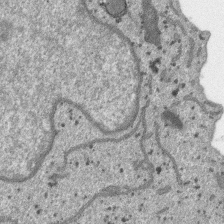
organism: Human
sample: Lung epithelial cells infected with SARS-CoV-2